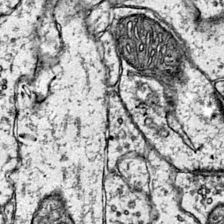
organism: Mouse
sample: Primary visual cortex